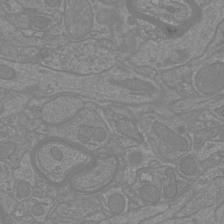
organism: Mouse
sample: Cortical neurons